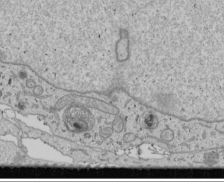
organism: Human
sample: Mitochondria in U2OS cells